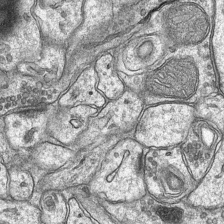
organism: Mouse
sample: CA1 Hippocampus